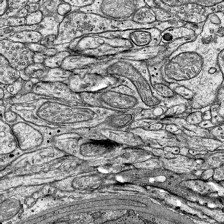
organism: Mouse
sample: Visual Cortex